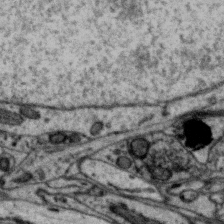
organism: Zebra finch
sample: Brain